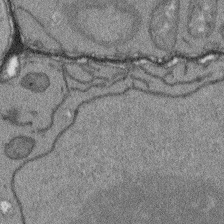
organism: Arabidopsis thaliana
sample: Root tip